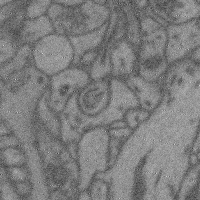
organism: Mouse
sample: Cerebral cortex